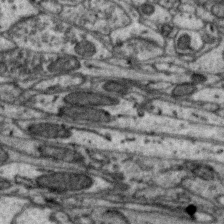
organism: Zebra finch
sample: Brain